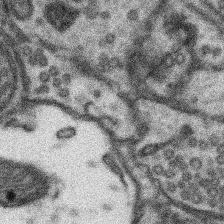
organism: Mouse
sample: Somatosensory cortex neuropil